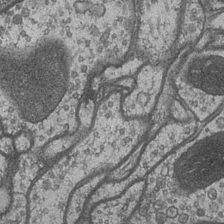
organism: Drosophila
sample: Optic medulla